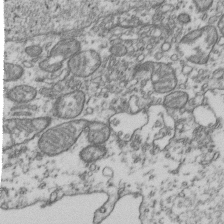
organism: Human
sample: Activated Jurkat CD4+ T cells